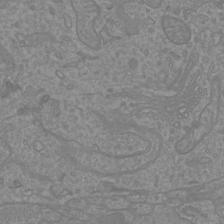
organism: Mouse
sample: Cortical neurons